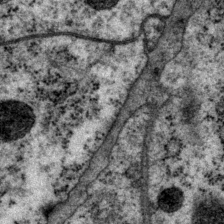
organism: P. pacificus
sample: Pharynx